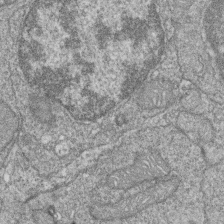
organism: Zebrafish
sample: Cilia; retinal pigment epithelium